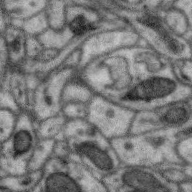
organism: Zebra finch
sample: Brain